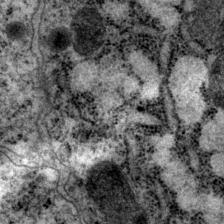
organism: P. pacificus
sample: Pharynx